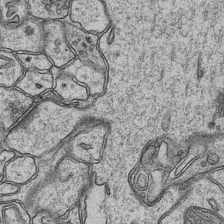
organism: Mouse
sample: CA1 Hippocampus